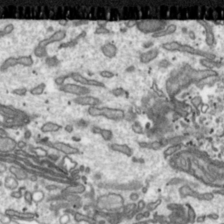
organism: Toxoplasma gondii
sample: Parasites in a vacuole inside a host cell